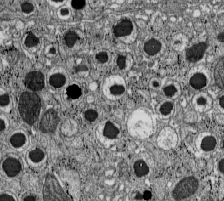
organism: C57BL Mouse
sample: Pancreatic islet